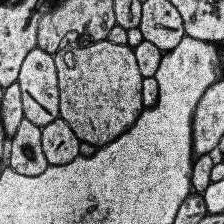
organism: Human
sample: Temporal Lobe